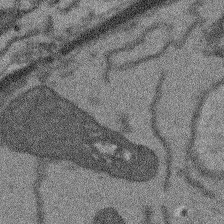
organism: Arabidopsis thaliana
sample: Root tip